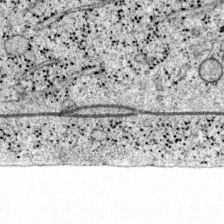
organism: Human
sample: HeLa cells